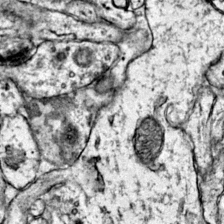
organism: Mouse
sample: Primary visual cortex